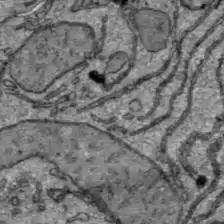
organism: C57BL Mouse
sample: Liver